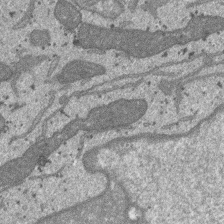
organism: Human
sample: Lung epithelial cells infected with SARS-CoV-2